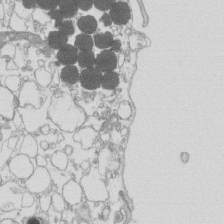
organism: Mouse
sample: Macrophages